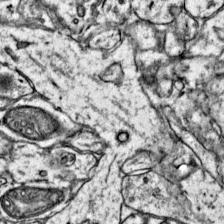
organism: Mouse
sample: Primary visual cortex